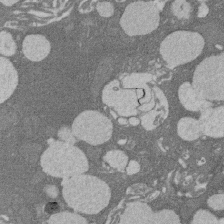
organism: Rat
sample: Salivary granule